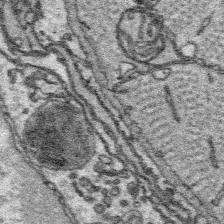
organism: Platynereis dumerilii